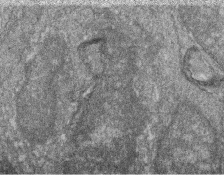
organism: Zebrafish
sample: Cilia; retinal pigment epithelium